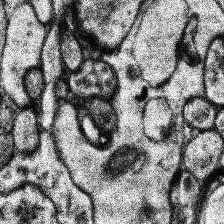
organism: Human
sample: Temporal Lobe